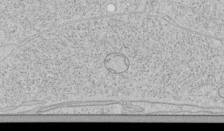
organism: Human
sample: Mitochondria in HCT116 cells